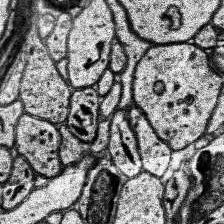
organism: Human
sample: Temporal Lobe